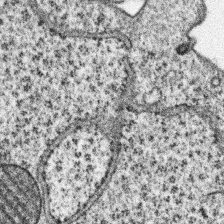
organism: Human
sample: HeLa cells